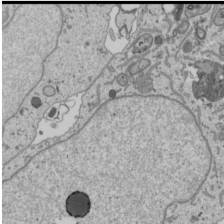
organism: Human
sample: Mitochondria in U2OS cells